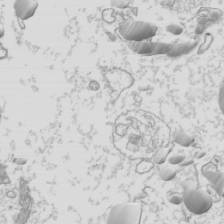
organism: Mouse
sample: Cilia; mouse epididymis